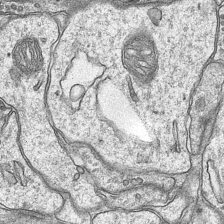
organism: Mouse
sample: CA1 Hippocampus